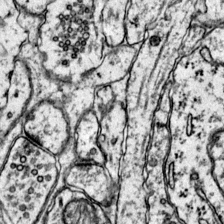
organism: Mouse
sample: Primary visual cortex